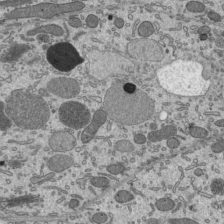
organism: Mouse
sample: Mouse epididymis efferent ductule cilia